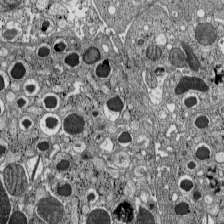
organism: C57BL Mouse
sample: Pancreatic islet